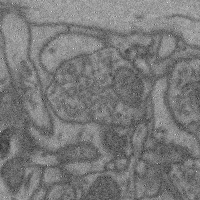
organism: Mouse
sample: Cerebral cortex